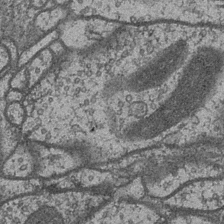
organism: Drosophila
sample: Optic medulla